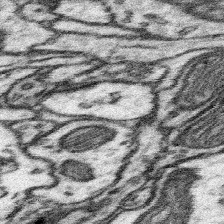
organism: Mouse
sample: Somatosensory cortex neuropil